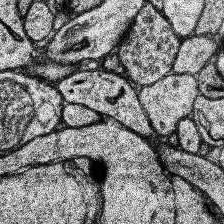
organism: Human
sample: Temporal Lobe